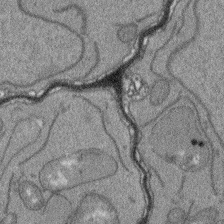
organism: Arabidopsis thaliana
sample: Root tip